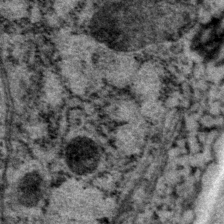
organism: P. pacificus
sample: Pharynx